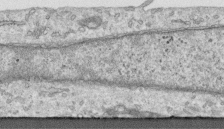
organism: Human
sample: Centriole in RPE cells